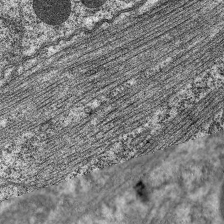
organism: C. elegans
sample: Pharynx